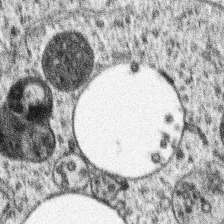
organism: Human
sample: HeLa cells